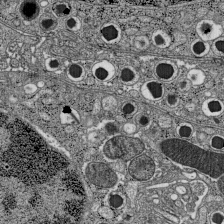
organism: C57BL Mouse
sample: Pancreatic islet